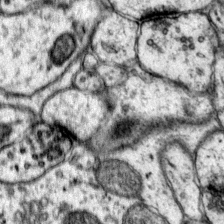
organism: Mouse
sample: Primary visual cortex